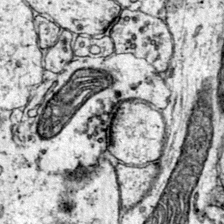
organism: Mouse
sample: Primary visual cortex